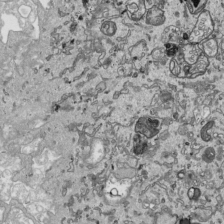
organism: Human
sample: Mitochondria in HCT116 cells